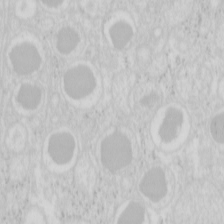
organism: Mouse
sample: Pancreas